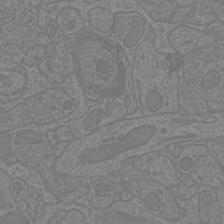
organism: Mouse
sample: Cortical neurons